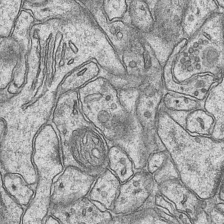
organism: Mouse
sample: CA1 Hippocampus